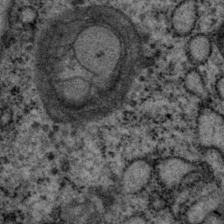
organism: P. pacificus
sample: Pharynx